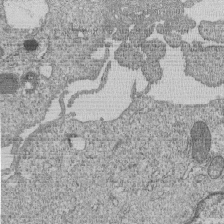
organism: Human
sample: MDA-MB-231 cells